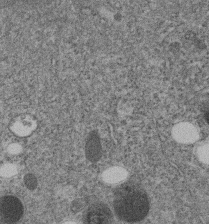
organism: C. elegans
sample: C. elegans embryo early stage